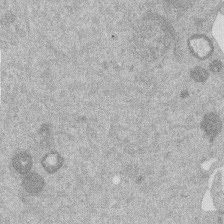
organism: Mouse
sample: Dividing mouse embryo 1 cell stage